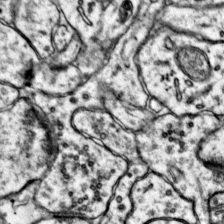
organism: Mouse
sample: Primary visual cortex